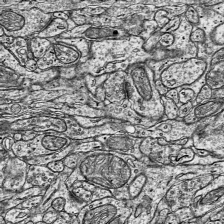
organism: Mouse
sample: Visual Cortex